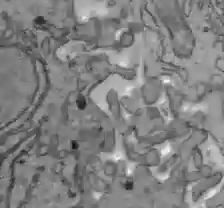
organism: C57BL Mouse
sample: Liver